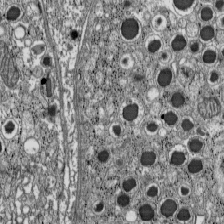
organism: C57BL Mouse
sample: Pancreatic islet